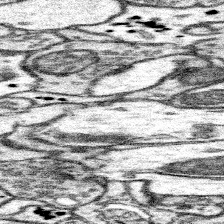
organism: Mouse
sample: Somatosensory cortex neuropil